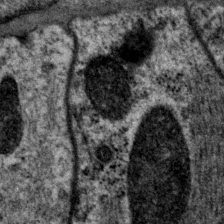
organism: P. pacificus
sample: Pharynx